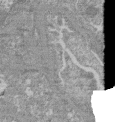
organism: Mouse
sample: Glomerulus